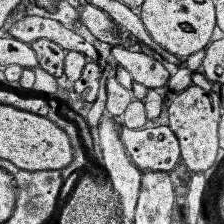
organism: Human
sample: Temporal Lobe